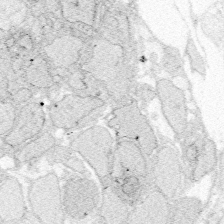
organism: Zebrafish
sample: Whole-Brain